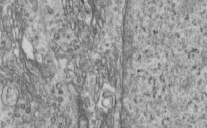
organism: Human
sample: Centriole in RPE cells